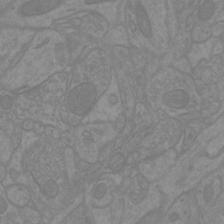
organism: Mouse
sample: Cortical neurons